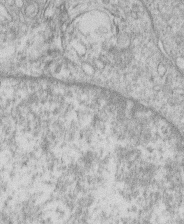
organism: Human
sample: Macrophage cells